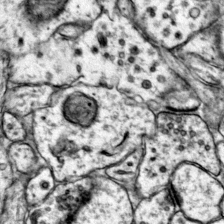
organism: Mouse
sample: Primary visual cortex